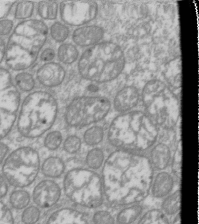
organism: Drosophila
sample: Cell division; meiosis; drosophila spermatocytes